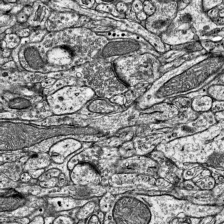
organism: Mouse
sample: Visual Cortex